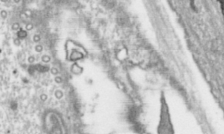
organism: Toxoplasma gondii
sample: Parasites in a vacuole inside a host cell